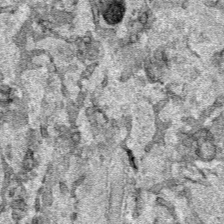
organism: Human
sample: Mitochondria in HCT116 cells